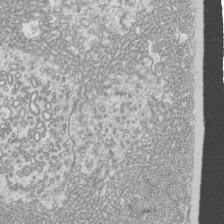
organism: Mouse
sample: Cilia; mouse epididymis